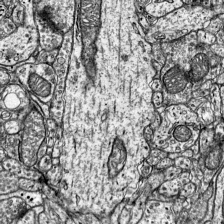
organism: Mouse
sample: Visual Cortex